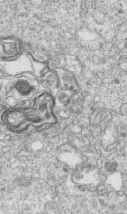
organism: Human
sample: HeLa cell HIV synapse